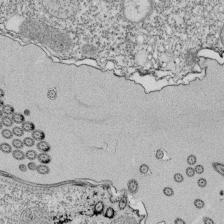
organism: Tetrahymena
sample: Cilia in tetrahymena